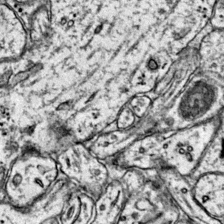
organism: Mouse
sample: Primary visual cortex